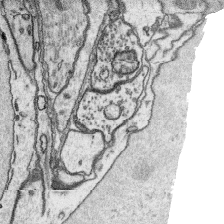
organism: Platynereis dumerilii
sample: Parapodia